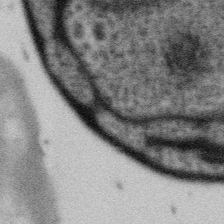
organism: Gemmata obscuriglobus